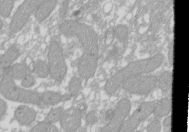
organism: Xenopus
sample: Cilia; centrioles in frog embryo cells